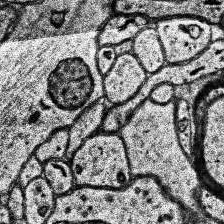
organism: Human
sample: Temporal Lobe